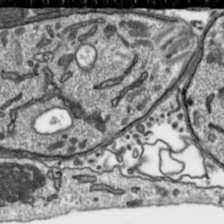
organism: Toxoplasma gondii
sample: Parasites in a vacuole inside a host cell